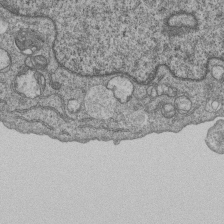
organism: Human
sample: MDA-MB-231 cells